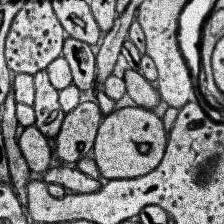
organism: Human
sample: Temporal Lobe